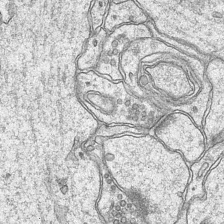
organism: Mouse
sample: CA1 Hippocampus